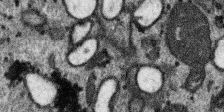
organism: Human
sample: Lung epithelial cells infected with SARS-CoV-2